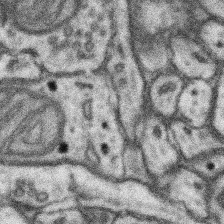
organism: Mouse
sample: Somatosensory cortex neuropil